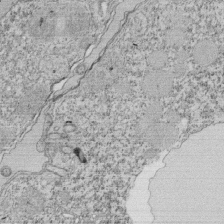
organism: Tetrahymena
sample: Cilia in tetrahymena